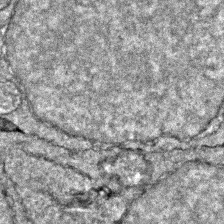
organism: Zebrafish